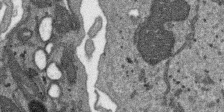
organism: Human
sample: Lung epithelial cells infected with SARS-CoV-2